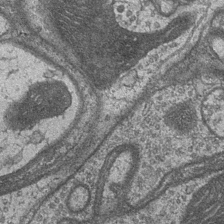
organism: Drosophila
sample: Optic medulla